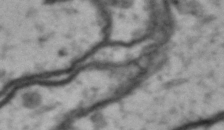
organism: Drosophila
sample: Brain